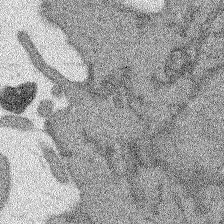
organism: Human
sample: HeLa cells